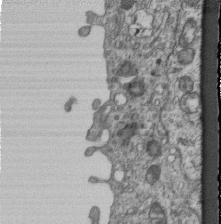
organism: Mouse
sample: Centriole in ependymal cells